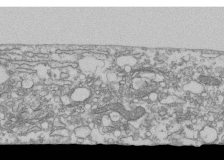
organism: Human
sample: Fibroblast cells